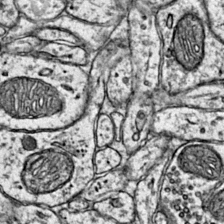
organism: Mouse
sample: Primary visual cortex